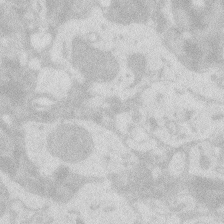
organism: Zebrafish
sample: Macrophage